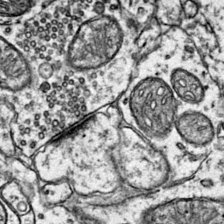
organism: Mouse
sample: Primary visual cortex